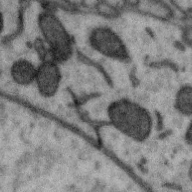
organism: Zebra finch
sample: Brain